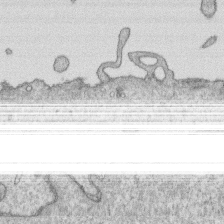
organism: Human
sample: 1205lu cells